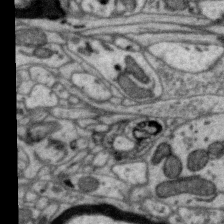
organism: Zebra finch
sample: Brain